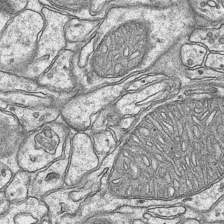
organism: Mouse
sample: CA1 Hippocampus